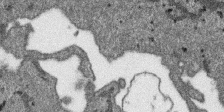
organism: Human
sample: Lung epithelial cells infected with SARS-CoV-2